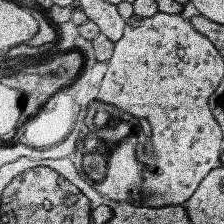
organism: Human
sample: Temporal Lobe